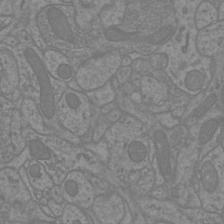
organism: Mouse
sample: Cortical neurons